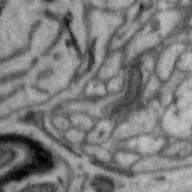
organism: Zebra finch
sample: Brain